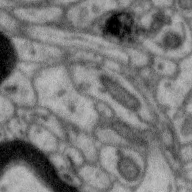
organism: Zebra finch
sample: Brain